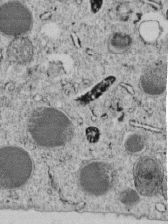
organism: C. elegans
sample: C. elegans embryo early stage